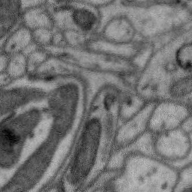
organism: Zebra finch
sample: Brain